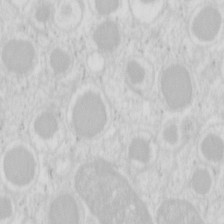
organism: Mouse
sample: Pancreas